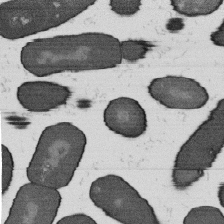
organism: B. subtilis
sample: Bacterial spore